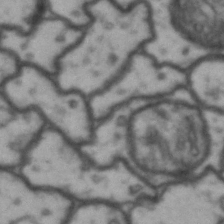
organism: Drosophila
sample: Brain